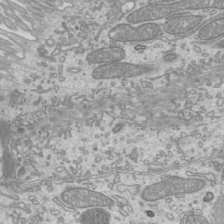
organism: Mouse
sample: Cilia; mouse epididymis